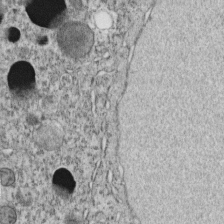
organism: C. elegans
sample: C. elegans embryo early stage